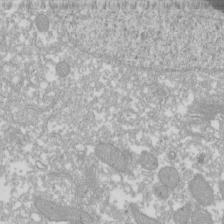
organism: Xenopus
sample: Cilia; centrioles in frog embryo cells